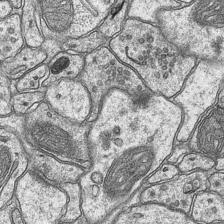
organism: Mouse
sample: CA1 Hippocampus